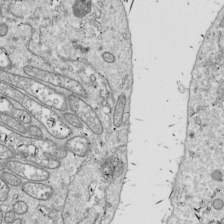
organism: Drosophila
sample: Cell division; meiosis; drosophila spermatocytes